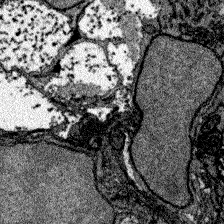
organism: Zebrafish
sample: Larval olfactory bulb